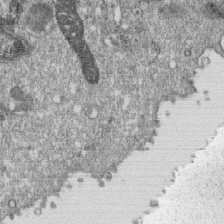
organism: African green monkey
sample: Vero E6 cells infected with SARS-CoV-2